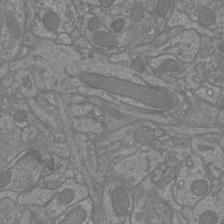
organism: Mouse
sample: Cortical neurons